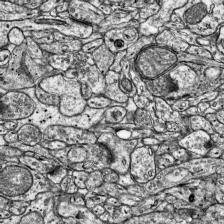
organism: Mouse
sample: Visual Cortex